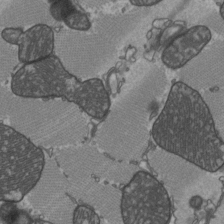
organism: C57BL Mouse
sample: Heart